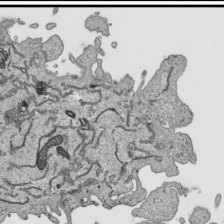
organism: Human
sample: Mitochondria in HCT116 cells